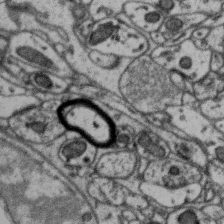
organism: Zebra finch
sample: Brain